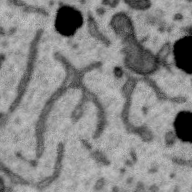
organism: Zebra finch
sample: Brain